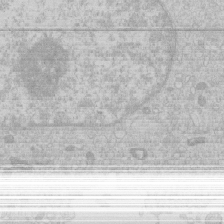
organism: Human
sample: Macrophage cells